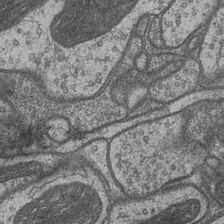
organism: Drosophila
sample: Optic medulla